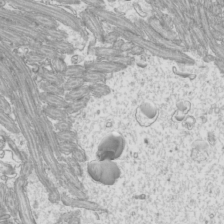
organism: Mouse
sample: Cilia; mouse epididymis